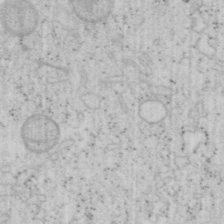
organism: Human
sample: HeLa cells